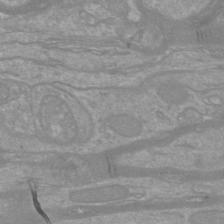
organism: Mouse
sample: Cortical neurons